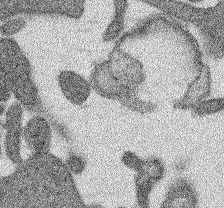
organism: Human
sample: HeLa cells